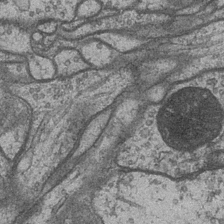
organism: Drosophila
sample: Optic medulla